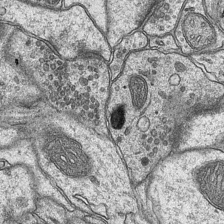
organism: Mouse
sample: CA1 Hippocampus